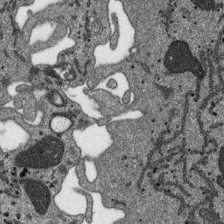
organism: Human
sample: Lung epithelial cells infected with SARS-CoV-2